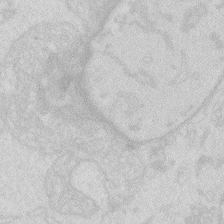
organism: Zebrafish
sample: Macrophage